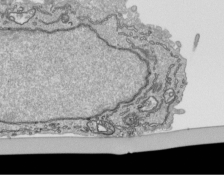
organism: Human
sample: Mitochondria in HCT116 cells